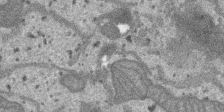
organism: Human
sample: Lung epithelial cells infected with SARS-CoV-2